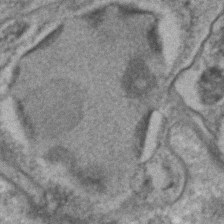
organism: C. elegans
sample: C. elegans embryo